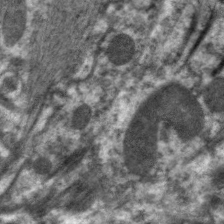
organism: C. elegans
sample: Pharynx